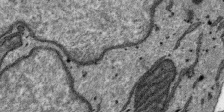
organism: Human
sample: Lung epithelial cells, uninfected (mock) control